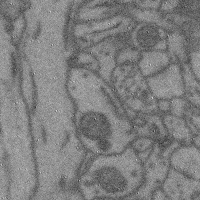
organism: Mouse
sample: Cerebral cortex